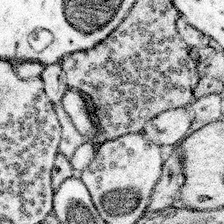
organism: Mouse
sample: Somatosensory cortex neuropil